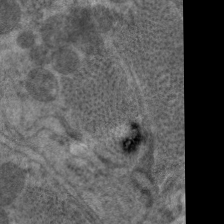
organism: C. elegans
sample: Pharynx